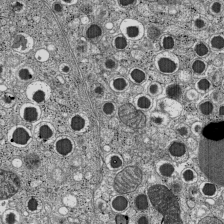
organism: C57BL Mouse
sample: Pancreatic islet